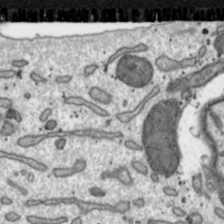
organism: Toxoplasma gondii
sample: Parasites in a vacuole inside a host cell